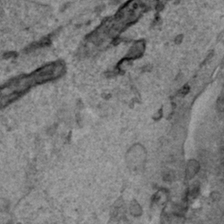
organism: Human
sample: Mitochondria in HCT116 cells